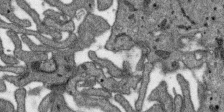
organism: Human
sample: Lung epithelial cells, uninfected (mock) control